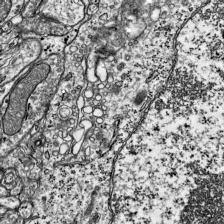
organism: Mouse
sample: Visual Cortex